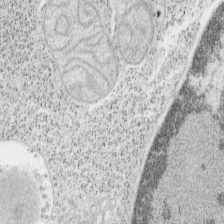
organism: Mouse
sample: OT-I killer T cells with ID8 ovarian cancer cells